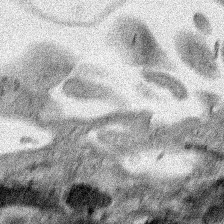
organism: Human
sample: Mitochondria in HCT116 cells